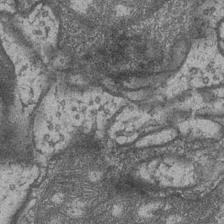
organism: Drosophila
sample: Optic medulla